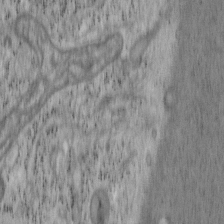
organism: Human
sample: HeLa cells